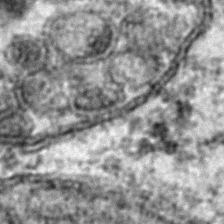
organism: C. elegans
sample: C. elegans embryo